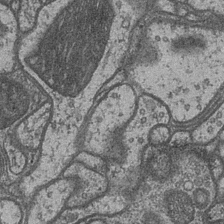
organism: Drosophila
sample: Optic medulla